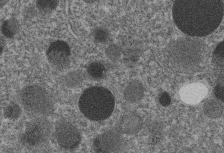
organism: C. elegans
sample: C. elegans embryo early stage